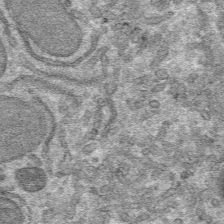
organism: Mouse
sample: Mouse hepatocytes